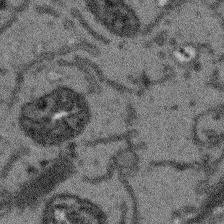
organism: Arabidopsis thaliana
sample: Root tip